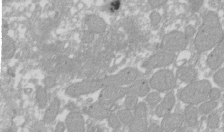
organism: Xenopus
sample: Cilia; centrioles in frog embryo cells